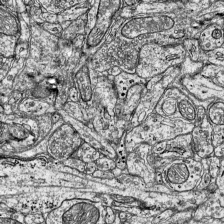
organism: Mouse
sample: Visual Cortex